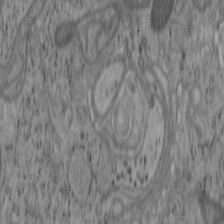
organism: Human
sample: HeLa cells